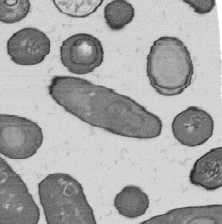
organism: B. subtilis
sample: Bacterial spore